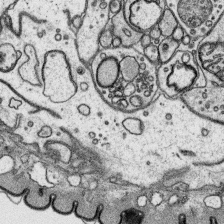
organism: Platynereis dumerilii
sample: Parapodia